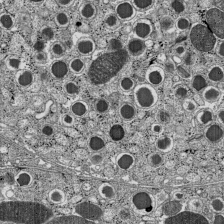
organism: C57BL Mouse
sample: Pancreatic islet